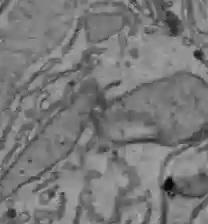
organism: C57BL Mouse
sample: Liver